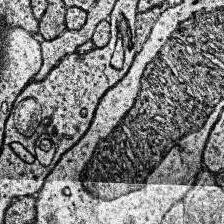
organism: Human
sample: Temporal Lobe